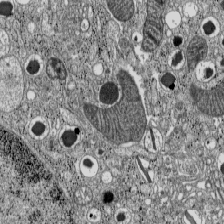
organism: C57BL Mouse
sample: Pancreatic islet